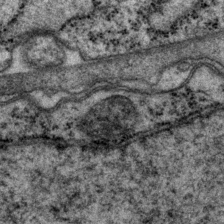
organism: P. pacificus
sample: Pharynx